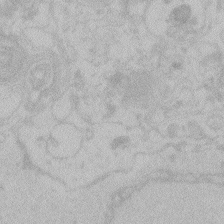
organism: Zebrafish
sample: Macrophage infected with Toxoplasma gondii